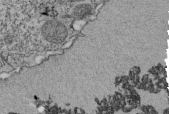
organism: Tetrahymena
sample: Cilia in tetrahymena